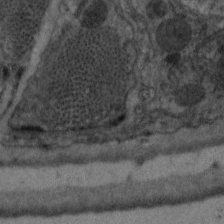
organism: C. elegans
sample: Pharynx